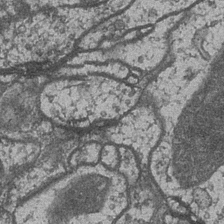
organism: Drosophila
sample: Optic medulla